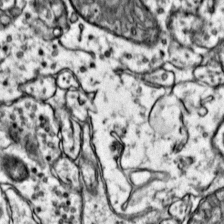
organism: Mouse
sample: Primary visual cortex